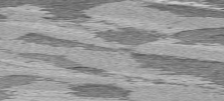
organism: C57BL Mouse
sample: Heart